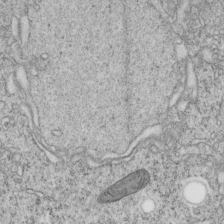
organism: C. elegans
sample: C. elegans embryo early stage